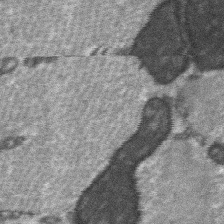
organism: C57BL Mouse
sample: Soleus